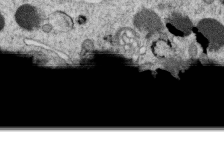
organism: C. elegans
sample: C. elegans oocyte; sperm cells